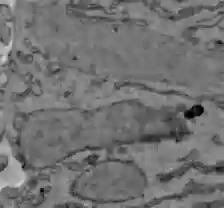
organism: C57BL Mouse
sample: Liver